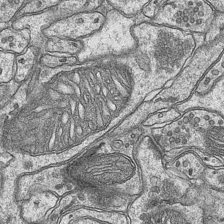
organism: Mouse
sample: CA1 Hippocampus